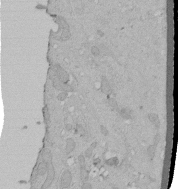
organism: Human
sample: Melanocyte Keratinocyte synapse skin construct